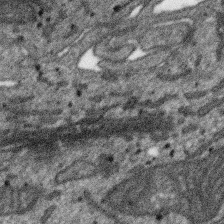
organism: Human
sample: Lung epithelial cells infected with SARS-CoV-2